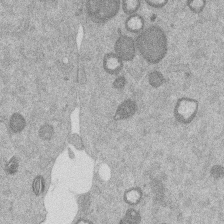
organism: Mouse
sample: Dividing mouse embryo 1 cell stage